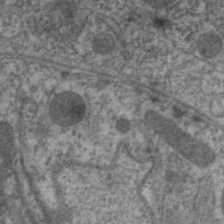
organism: C. elegans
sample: Pharynx